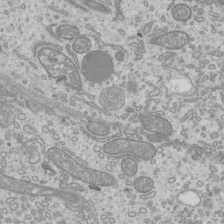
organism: Mouse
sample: Cilia; mouse epididymis